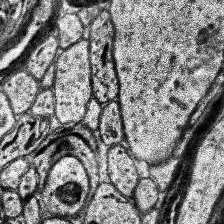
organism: Human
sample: Temporal Lobe